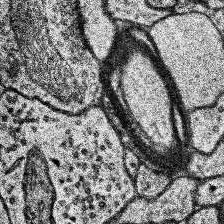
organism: Human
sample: Temporal Lobe